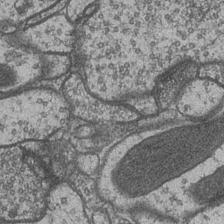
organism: Drosophila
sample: Optic medulla